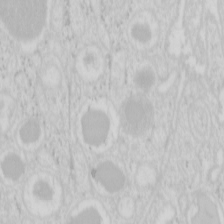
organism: Mouse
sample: Pancreas